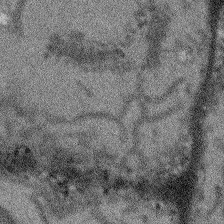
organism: Arabidopsis thaliana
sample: Root tip